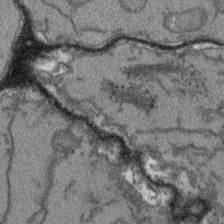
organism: Arabidopsis thaliana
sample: Root tip